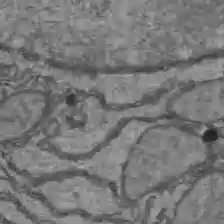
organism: C57BL Mouse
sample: Liver